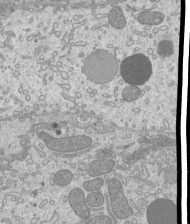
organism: Mouse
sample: Cilia; mouse epididymis